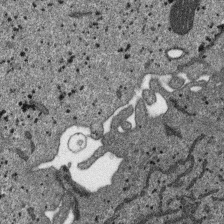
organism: Human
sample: Lung epithelial cells infected with SARS-CoV-2